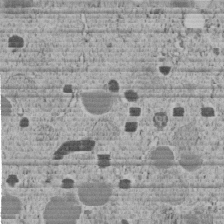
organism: C. elegans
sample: C. elegans embryo early stage